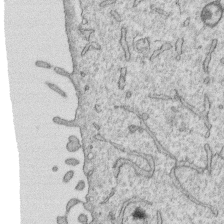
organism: Human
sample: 1205lu cells